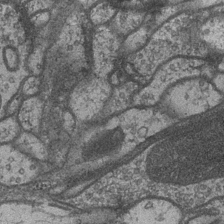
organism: Drosophila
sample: Optic medulla